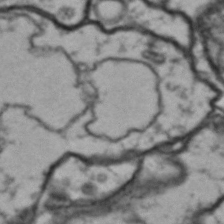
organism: Drosophila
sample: Brain